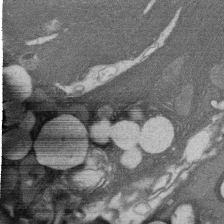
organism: Rat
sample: Salivary granule